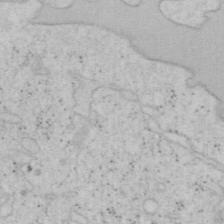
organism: Human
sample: HeLa cells